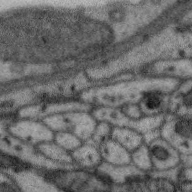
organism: Zebra finch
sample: Brain